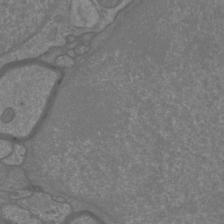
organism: Mouse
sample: Cortical neurons